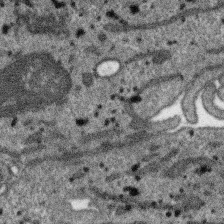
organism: Human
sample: Lung epithelial cells infected with SARS-CoV-2